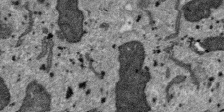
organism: Human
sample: Lung epithelial cells, uninfected (mock) control